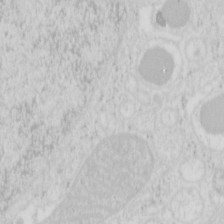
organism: Mouse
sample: Pancreas